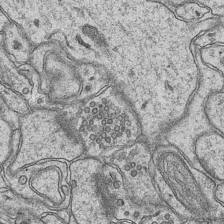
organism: Mouse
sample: CA1 Hippocampus